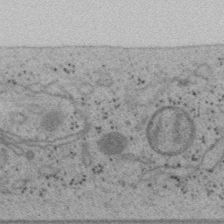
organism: Human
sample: HeLa cells